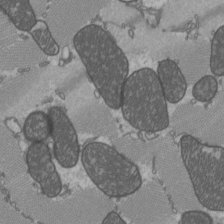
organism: C57BL Mouse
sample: Heart